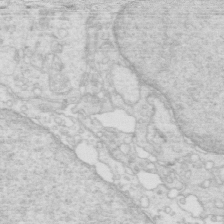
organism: Mouse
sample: Multiciliated cells